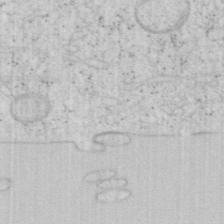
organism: Human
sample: HeLa cells